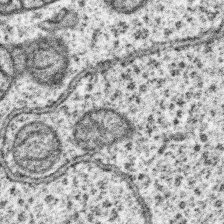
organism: Human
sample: HeLa cells